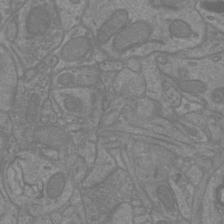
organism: Mouse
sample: Cortical neurons